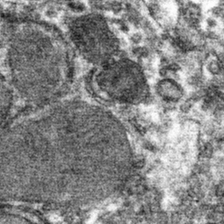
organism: Mouse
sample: Mouse hepatocytes